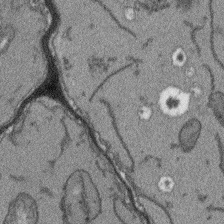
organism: Arabidopsis thaliana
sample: Root tip